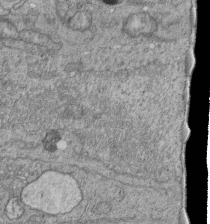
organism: Human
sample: Retinal organoid Rod and Cone cells